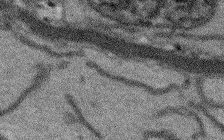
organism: Arabidopsis thaliana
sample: Root tip